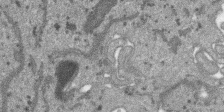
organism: Human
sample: Lung epithelial cells infected with SARS-CoV-2